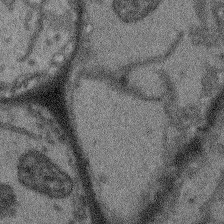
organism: Arabidopsis thaliana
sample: Root tip